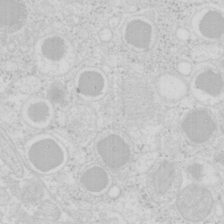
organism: Mouse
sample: Pancreas